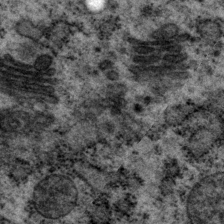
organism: P. pacificus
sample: Pharynx